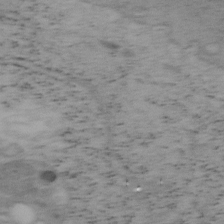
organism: Mouse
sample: OT-I killer T cells with ID8 ovarian cancer cells